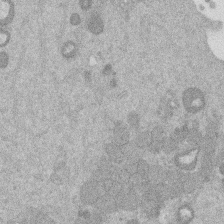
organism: Mouse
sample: Dividing mouse embryo 1 cell stage